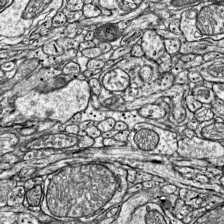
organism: Mouse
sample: Visual Cortex